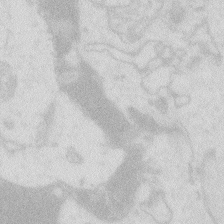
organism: Zebrafish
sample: Macrophage